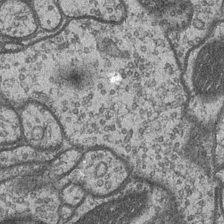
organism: Drosophila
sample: Optic medulla